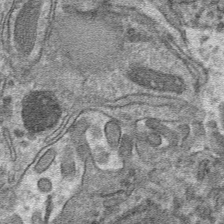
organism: Mouse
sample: Mouse hepatocytes